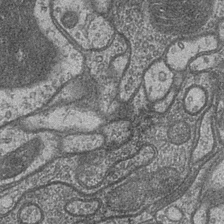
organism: Drosophila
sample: Optic medulla